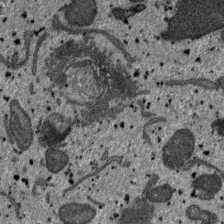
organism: Human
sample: Lung epithelial cells, uninfected (mock) control